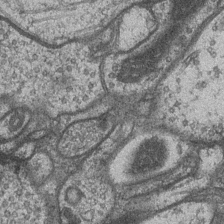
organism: Drosophila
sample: Optic medulla